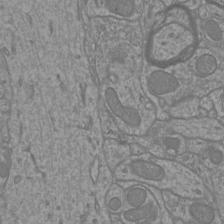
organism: Mouse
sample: Cortical neurons